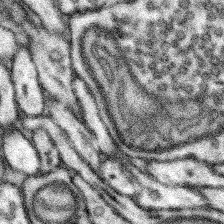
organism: Mouse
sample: Somatosensory cortex neuropil